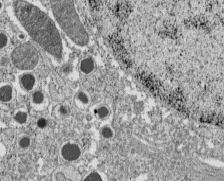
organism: C57BL Mouse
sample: Pancreatic islet